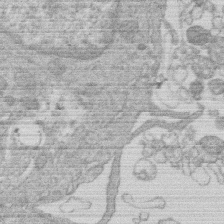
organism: Human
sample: Macrophage cells